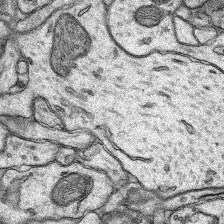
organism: Rat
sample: Hippocampus